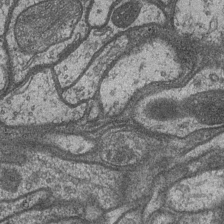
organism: Drosophila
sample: Optic medulla